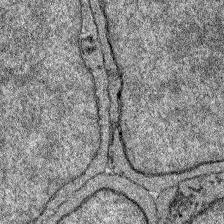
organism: Zebrafish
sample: Larval olfactory bulb